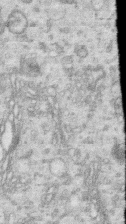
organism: Human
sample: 1205lu cells